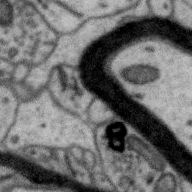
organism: Zebra finch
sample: Brain